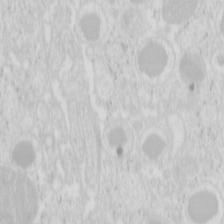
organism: Mouse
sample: Pancreas